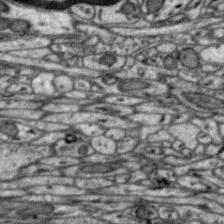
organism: Zebra finch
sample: Brain